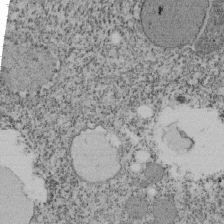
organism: Tetrahymena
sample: Cilia in tetrahymena